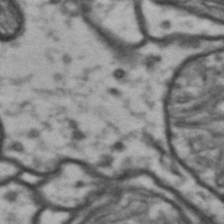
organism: Drosophila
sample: Brain